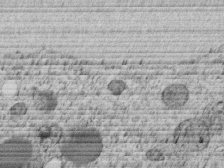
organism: C. elegans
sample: C. elegans embryo early stage